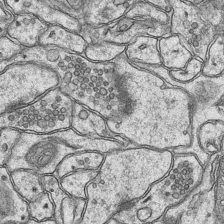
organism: Mouse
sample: CA1 Hippocampus